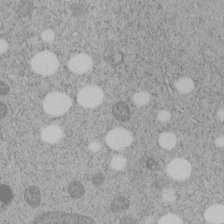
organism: C. elegans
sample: C. elegans embryo early stage